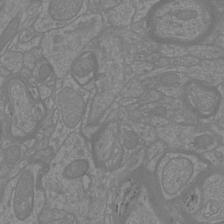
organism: Mouse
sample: Cortical neurons